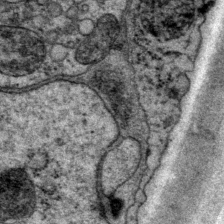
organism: P. pacificus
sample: Pharynx